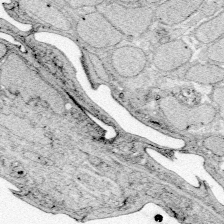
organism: Zebrafish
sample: Whole-Brain